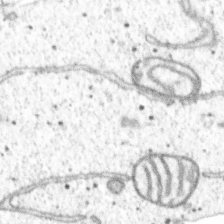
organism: Human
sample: HeLa cells